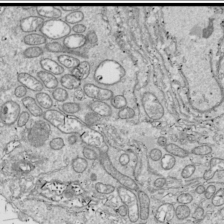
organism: Drosophila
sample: Cell division; meiosis; drosophila spermatocytes